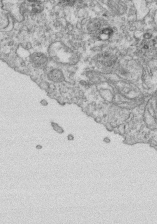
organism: Human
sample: HeLa cell HIV synapse